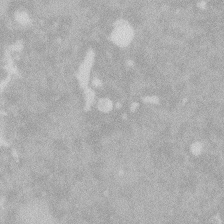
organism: Zebrafish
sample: Macrophage